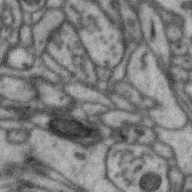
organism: Zebra finch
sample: Brain